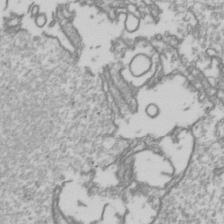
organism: Drosophila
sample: Cell division; meiosis; drosophila spermatocytes